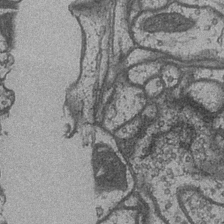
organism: Drosophila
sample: Optic medulla